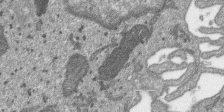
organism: Human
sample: Lung epithelial cells infected with SARS-CoV-2